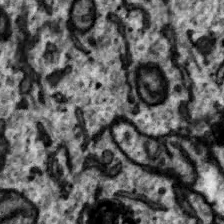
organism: Human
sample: HeLa cells